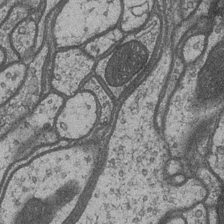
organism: Drosophila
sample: Optic medulla